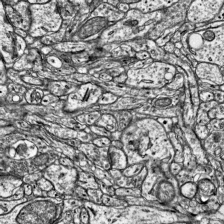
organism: Mouse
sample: Visual Cortex